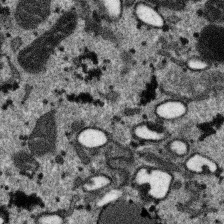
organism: Human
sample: Lung epithelial cells infected with SARS-CoV-2